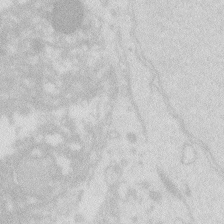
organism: Zebrafish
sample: Macrophage